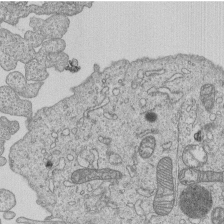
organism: Human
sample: MDA-MB-231 cells